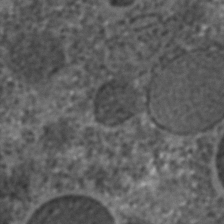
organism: C. elegans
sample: C. elegans embryo